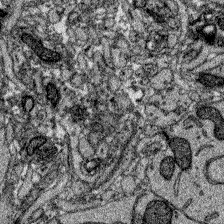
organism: Zebrafish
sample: Larval olfactory bulb